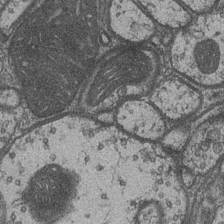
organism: Drosophila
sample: Optic medulla